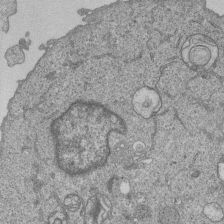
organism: Human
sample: MDA-MB-231 cells